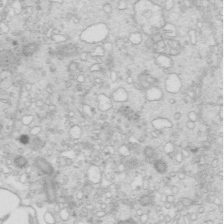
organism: Mouse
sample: Multiciliated cells